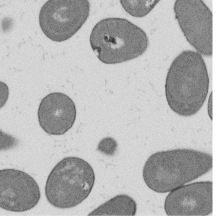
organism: B. subtilis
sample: Bacterial spore